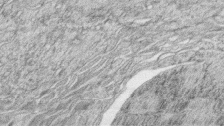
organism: Zebrafish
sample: synaptic ribbons in rod cells and cone cells